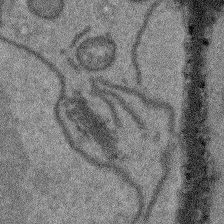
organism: Arabidopsis thaliana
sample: Root tip